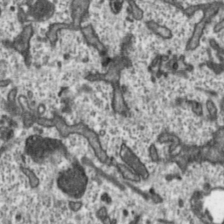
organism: Toxoplasma gondii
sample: Parasites in a vacuole inside a host cell